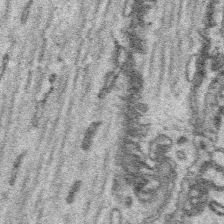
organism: Platynereis dumerilii